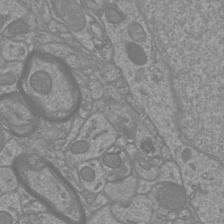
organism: Mouse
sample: Cortical neurons